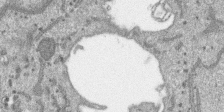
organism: Human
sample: Lung epithelial cells infected with SARS-CoV-2